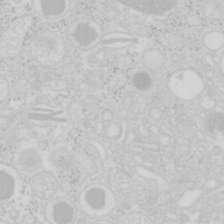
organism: Mouse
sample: Pancreas